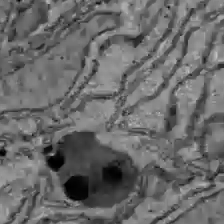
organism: C57BL Mouse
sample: Liver